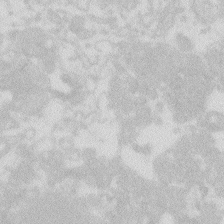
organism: Zebrafish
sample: Macrophage